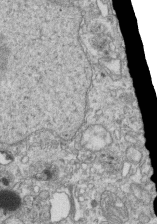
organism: Human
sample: HeLa cell HIV synapse